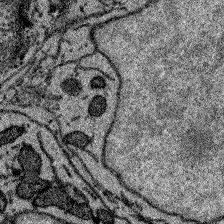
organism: Zebrafish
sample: Larval olfactory bulb